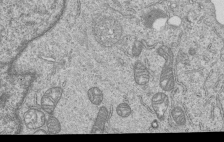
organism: Human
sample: MDA-MB-231 cells